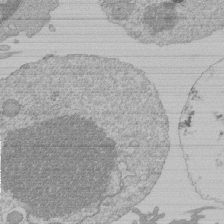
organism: Mouse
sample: Activated Pmel transgenic CD8+ T Cells